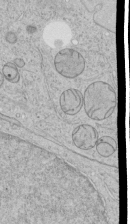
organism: Human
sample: Mitochondria in HCT116 cells